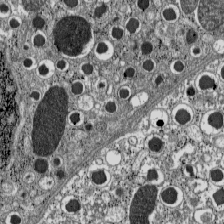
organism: C57BL Mouse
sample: Pancreatic islet